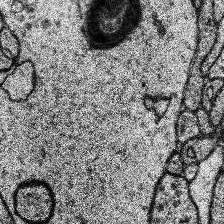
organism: Human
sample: Temporal Lobe